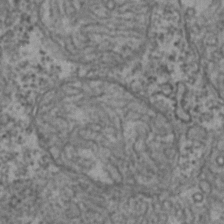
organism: Zebrafish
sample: Zebrafish embryo